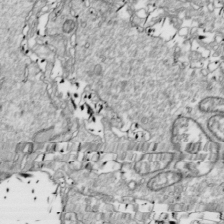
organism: Drosophila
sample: Cell division; meiosis; drosophila spermatocytes